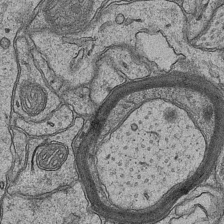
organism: Mouse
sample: CA1 Hippocampus